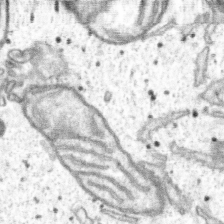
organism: Human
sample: HeLa cells